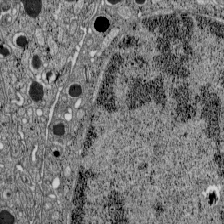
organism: C57BL Mouse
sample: Pancreatic islet